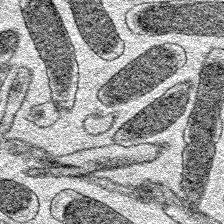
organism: E. coli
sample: E. Coli Bacteria